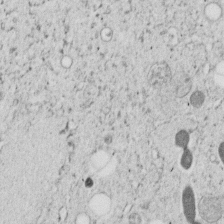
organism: C. elegans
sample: C. elegans embryo early stage